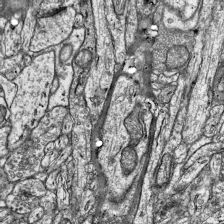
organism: Mouse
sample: Visual Cortex